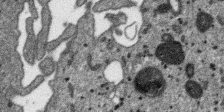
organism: Human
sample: Lung epithelial cells infected with SARS-CoV-2